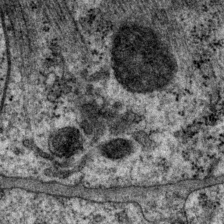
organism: P. pacificus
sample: Pharynx